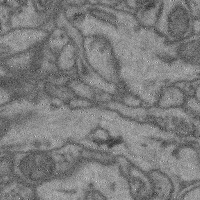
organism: Mouse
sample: Cerebral cortex